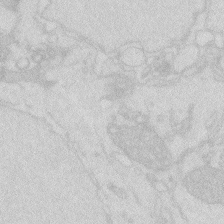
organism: Zebrafish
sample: Macrophage